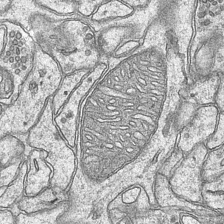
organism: Mouse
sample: CA1 Hippocampus